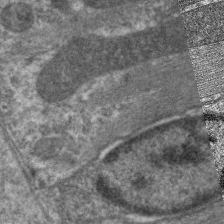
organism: C. elegans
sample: Pharynx